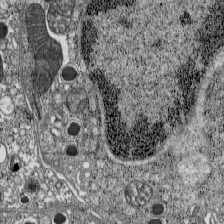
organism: C57BL Mouse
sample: Pancreatic islet